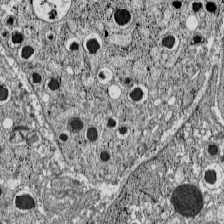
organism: C57BL Mouse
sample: Pancreatic islet